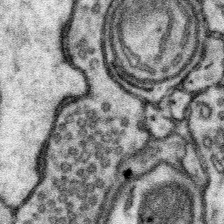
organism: Mouse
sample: Somatosensory cortex neuropil